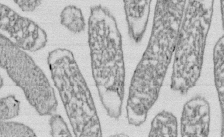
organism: E. coli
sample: Bacterial nucleoid